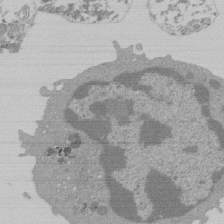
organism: Mouse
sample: Activated Pmel transgenic CD8+ T Cells